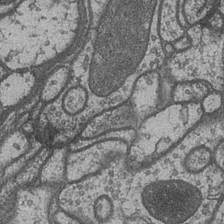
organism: Drosophila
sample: Optic medulla